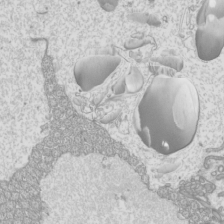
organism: Mouse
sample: Cilia; mouse epididymis